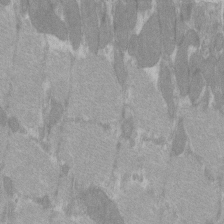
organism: C57BL Mouse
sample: Tibialis anterior muscle cell